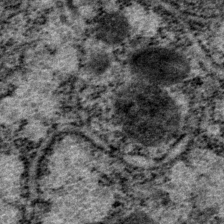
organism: P. pacificus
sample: Pharynx